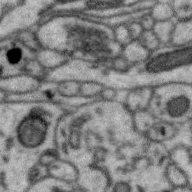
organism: Zebra finch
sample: Brain